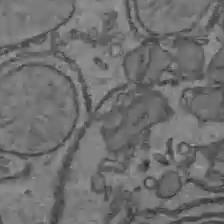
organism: C57BL Mouse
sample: Liver